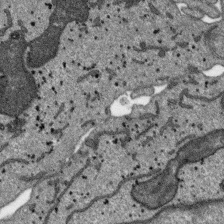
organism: Human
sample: Lung epithelial cells, uninfected (mock) control